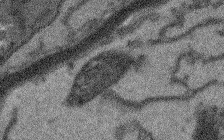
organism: Arabidopsis thaliana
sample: Root tip